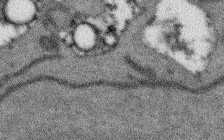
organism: Arabidopsis thaliana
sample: Root tip